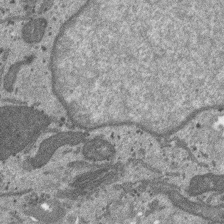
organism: Human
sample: Lung epithelial cells infected with SARS-CoV-2